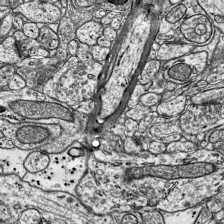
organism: Mouse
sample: Visual Cortex